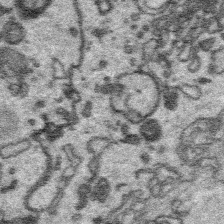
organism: Platynereis dumerilii